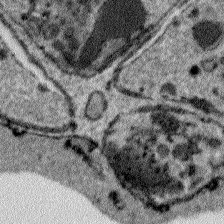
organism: Plasmodium falciparum